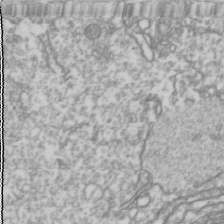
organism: Drosophila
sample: Cell division; meiosis; drosophila spermatocytes